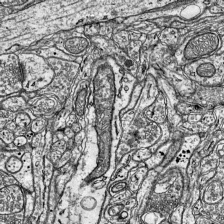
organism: Mouse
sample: Visual Cortex